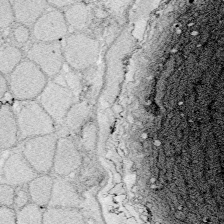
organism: Zebrafish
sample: Whole-Brain